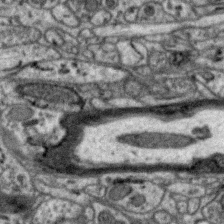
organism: Zebra finch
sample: Brain